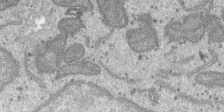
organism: Human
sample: Lung epithelial cells infected with SARS-CoV-2